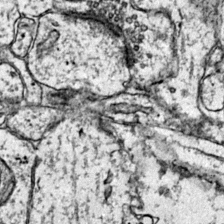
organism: Mouse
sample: Primary visual cortex